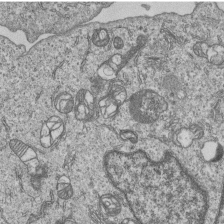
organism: Human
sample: MDA-MB-231 cells